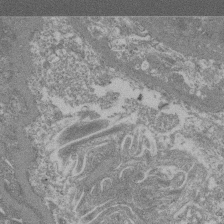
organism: Mouse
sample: Glomerulus